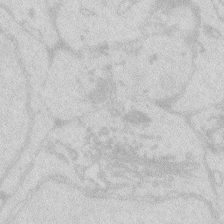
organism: Zebrafish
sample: Macrophage